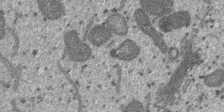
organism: Human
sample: Lung epithelial cells infected with SARS-CoV-2